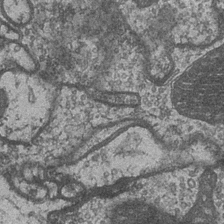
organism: Drosophila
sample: Optic medulla